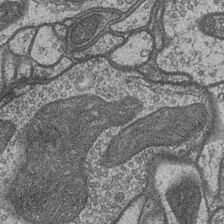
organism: Drosophila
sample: Optic medulla